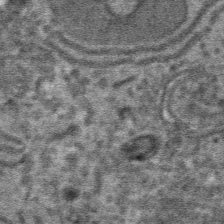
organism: Mouse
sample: Mouse hepatocytes